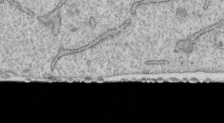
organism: Human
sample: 1205lu cells